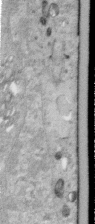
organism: Human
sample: Centriole in RPE cells